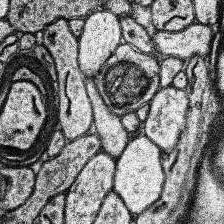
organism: Human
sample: Temporal Lobe